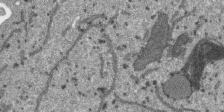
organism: Human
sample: Lung epithelial cells infected with SARS-CoV-2